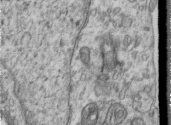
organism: Human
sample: Centriole in RPE cells